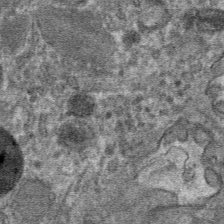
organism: Mouse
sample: Mouse hepatocytes